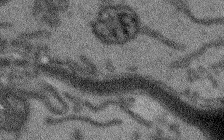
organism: Arabidopsis thaliana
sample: Root tip